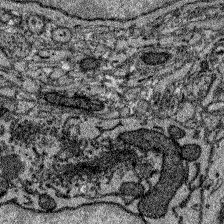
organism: Zebrafish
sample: Larval olfactory bulb